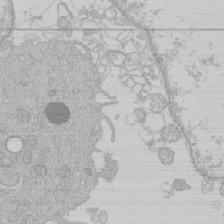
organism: Human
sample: Macrophage cells